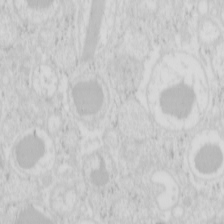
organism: Mouse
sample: Pancreas